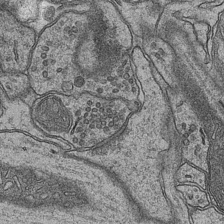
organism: Mouse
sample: CA1 Hippocampus